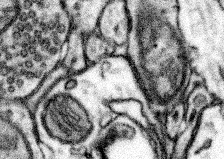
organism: Mouse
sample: Somatosensory cortex neuropil